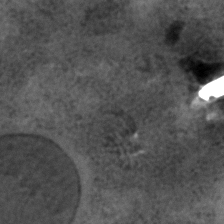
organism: C. elegans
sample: C. elegans embryo